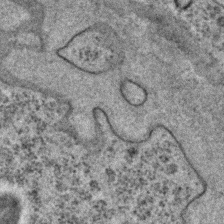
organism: C. elegans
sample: C. elegans embryo